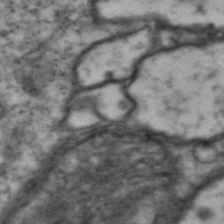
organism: Drosophila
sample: Brain